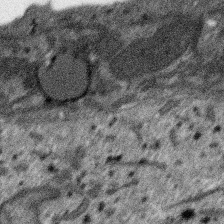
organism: Human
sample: Lung epithelial cells infected with SARS-CoV-2